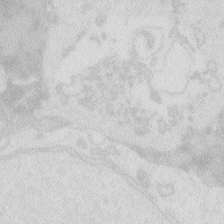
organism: Zebrafish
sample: Macrophage